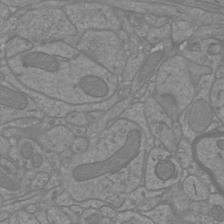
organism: Mouse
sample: Cortical neurons